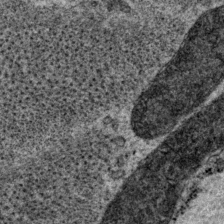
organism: P. pacificus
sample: Pharynx